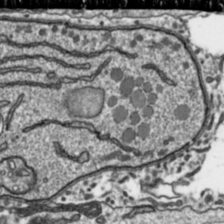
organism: Toxoplasma gondii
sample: Parasites in a vacuole inside a host cell